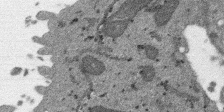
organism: Human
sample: Lung epithelial cells infected with SARS-CoV-2